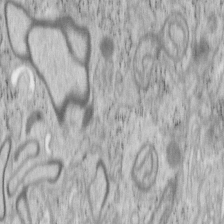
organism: Human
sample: HeLa cells